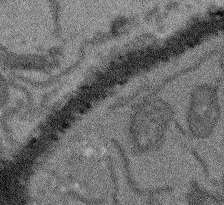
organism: Arabidopsis thaliana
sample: Root tip